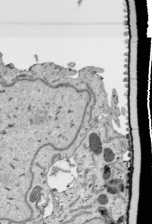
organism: Human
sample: Mitochondria in HCT116 cells